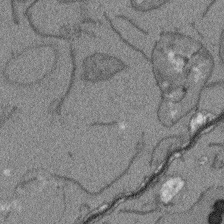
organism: Arabidopsis thaliana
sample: Root tip